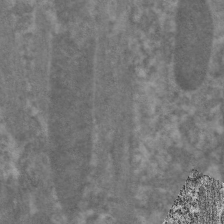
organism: C. elegans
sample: Pharynx